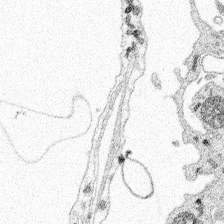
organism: Spongilla lacustris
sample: Multiple